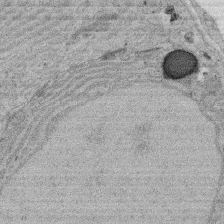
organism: Rat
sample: Salivary granule